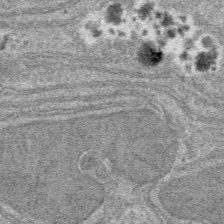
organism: Mouse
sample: Mouse hepatocytes